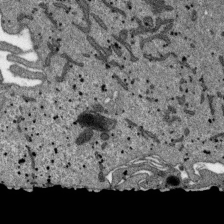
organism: Human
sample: Lung epithelial cells, uninfected (mock) control